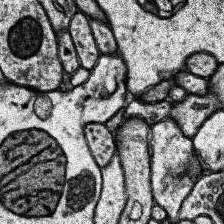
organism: Human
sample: Temporal Lobe